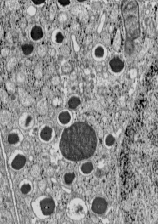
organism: C57BL Mouse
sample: Pancreatic islet